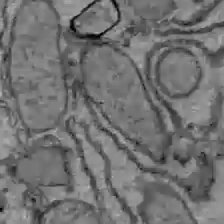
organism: C57BL Mouse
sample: Liver